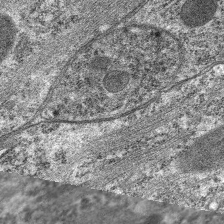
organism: C. elegans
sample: Pharynx